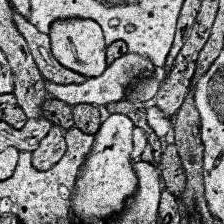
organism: Human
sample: Temporal Lobe